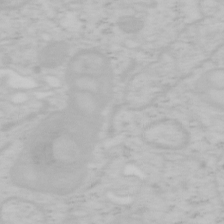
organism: Mouse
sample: OT-I killer T cells with ID8 ovarian cancer cells